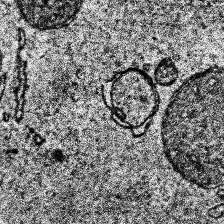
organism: Human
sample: Temporal Lobe